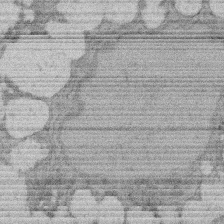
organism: Rat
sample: Salivary granule